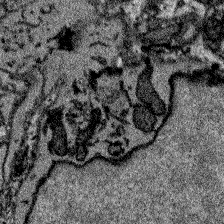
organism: Zebrafish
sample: Larval olfactory bulb